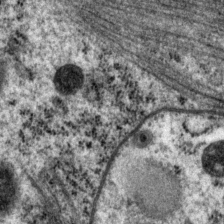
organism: P. pacificus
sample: Pharynx